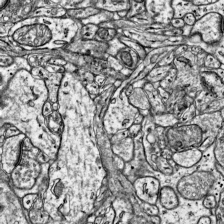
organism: Mouse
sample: Visual Cortex